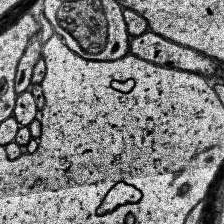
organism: Human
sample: Temporal Lobe